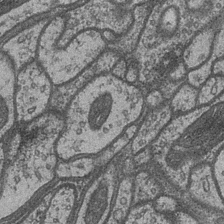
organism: Drosophila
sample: Optic medulla